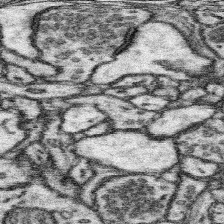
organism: Mouse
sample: Somatosensory cortex neuropil